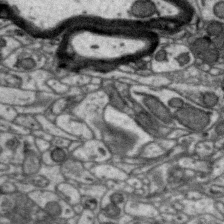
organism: Zebra finch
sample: Brain